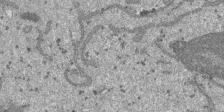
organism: Human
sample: Lung epithelial cells infected with SARS-CoV-2